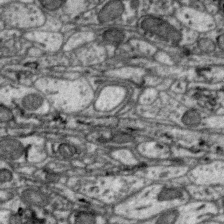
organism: Zebra finch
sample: Brain